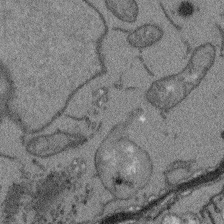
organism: Arabidopsis thaliana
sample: Root tip